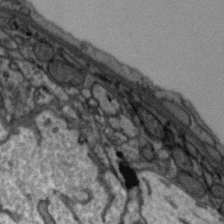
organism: Zebra finch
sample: Brain